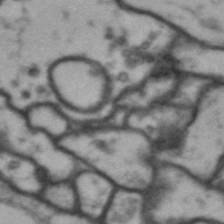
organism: Drosophila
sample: Brain